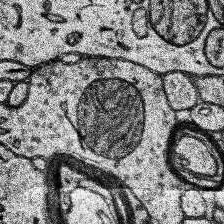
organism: Human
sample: Temporal Lobe